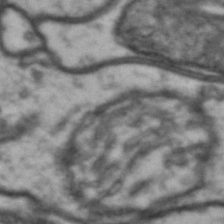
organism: Drosophila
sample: Brain